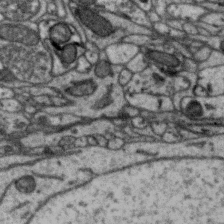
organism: Zebra finch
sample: Brain